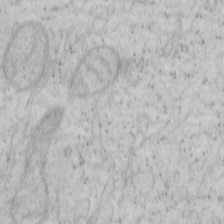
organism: Human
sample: HeLa cells